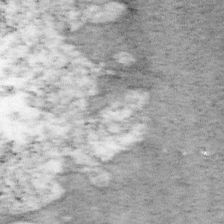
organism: Mouse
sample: OT-I killer T cells with ID8 ovarian cancer cells